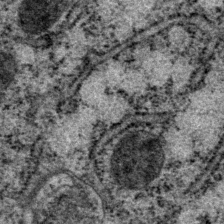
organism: P. pacificus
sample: Pharynx